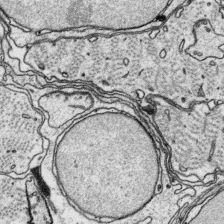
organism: Platynereis dumerilii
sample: Parapodia